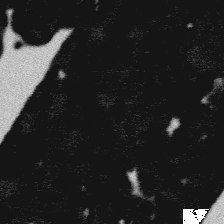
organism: Platynereis dumerilii